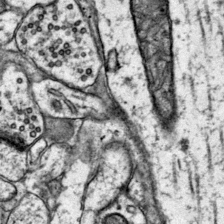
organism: Mouse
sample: Primary visual cortex